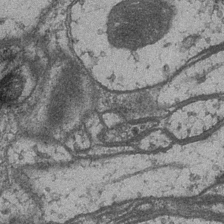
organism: Drosophila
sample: Optic medulla